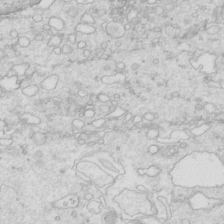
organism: Mouse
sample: Multiciliated cells